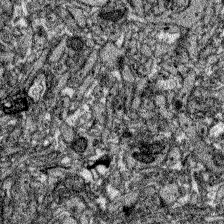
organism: Zebrafish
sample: Larval olfactory bulb